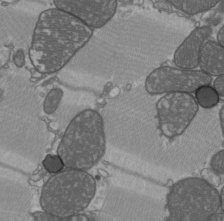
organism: C57BL Mouse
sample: Heart